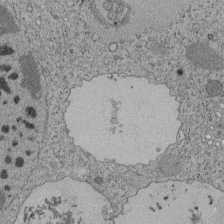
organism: Tetrahymena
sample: Cilia in tetrahymena